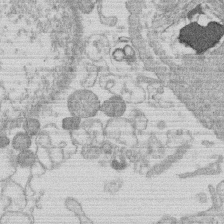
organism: Human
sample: Macrophage cells